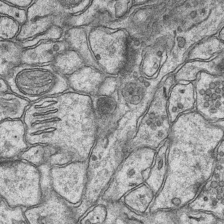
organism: Mouse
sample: CA1 Hippocampus